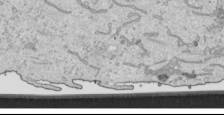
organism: Human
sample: Mitochondria in HCT116 cells